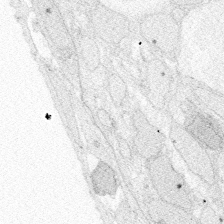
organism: Zebrafish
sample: Whole-Brain